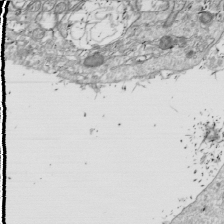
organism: Drosophila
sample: Cell division; meiosis; drosophila spermatocytes